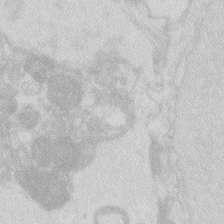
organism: Zebrafish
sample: Macrophage